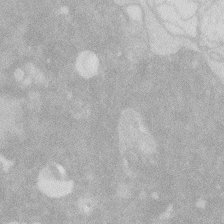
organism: Zebrafish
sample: Macrophage